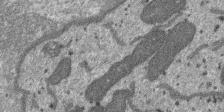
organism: Human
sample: Lung epithelial cells infected with SARS-CoV-2